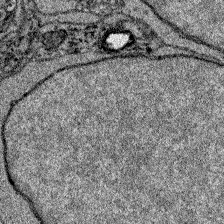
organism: Zebrafish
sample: Larval olfactory bulb